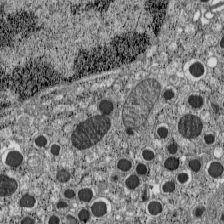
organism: C57BL Mouse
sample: Pancreatic islet